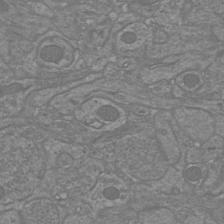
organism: Mouse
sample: Cortical neurons